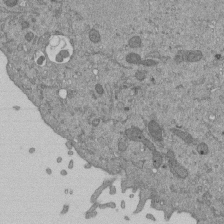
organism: Mouse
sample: ED-1 cell nuclei; centrioles